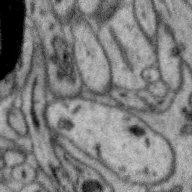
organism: Zebra finch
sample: Brain